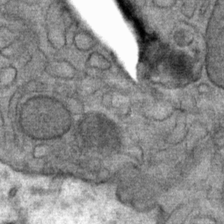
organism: Mouse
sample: Mouse Salivary gland